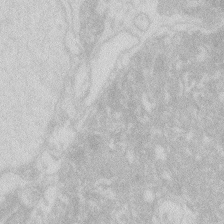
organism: Zebrafish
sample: Macrophage